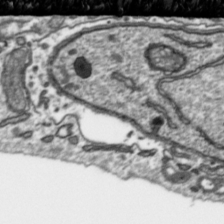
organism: Toxoplasma gondii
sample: Parasites in a vacuole inside a host cell